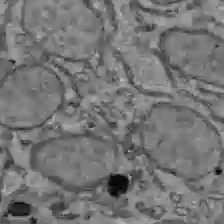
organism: C57BL Mouse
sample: Liver